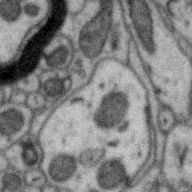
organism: Zebra finch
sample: Brain